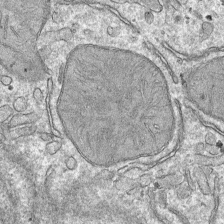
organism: Mouse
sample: Mouse hepatocytes